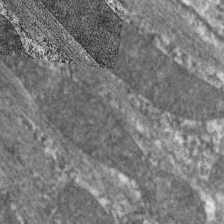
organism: C. elegans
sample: Pharynx